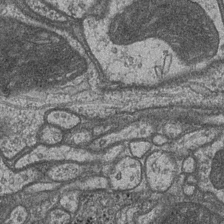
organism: Drosophila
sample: Optic medulla